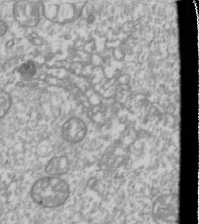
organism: Drosophila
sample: Cell division; meiosis; drosophila spermatocytes